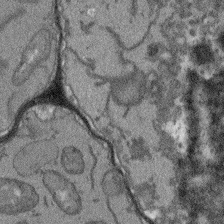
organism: Arabidopsis thaliana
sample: Root tip